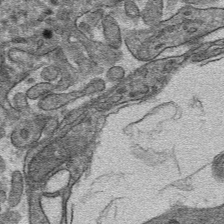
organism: Mouse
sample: Mouse hepatocytes